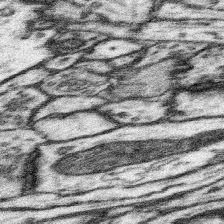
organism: Mouse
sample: Somatosensory cortex neuropil